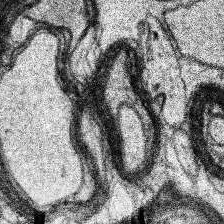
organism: Human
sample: Temporal Lobe